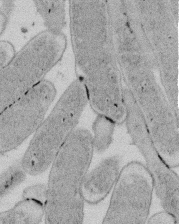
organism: E. coli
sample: Bacterial nucleoid